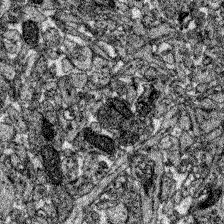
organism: Zebrafish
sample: Larval olfactory bulb